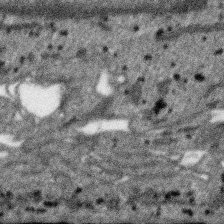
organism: Human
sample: Lung epithelial cells infected with SARS-CoV-2